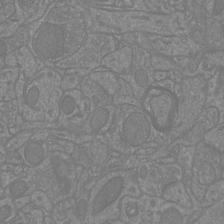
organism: Mouse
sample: Cortical neurons